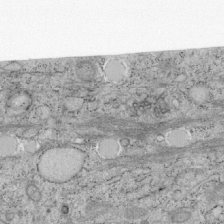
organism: Human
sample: HeLa cells